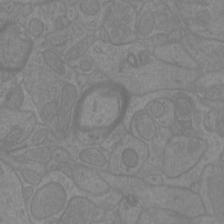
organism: Mouse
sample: Cortical neurons